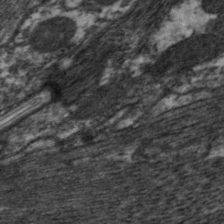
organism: C. elegans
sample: Pharynx